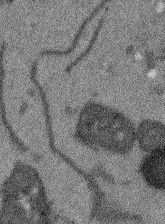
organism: Arabidopsis thaliana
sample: Root tip